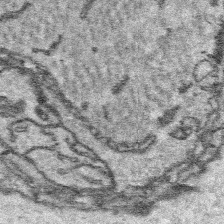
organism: Platynereis dumerilii